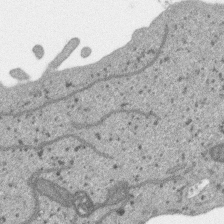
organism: Human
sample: Lung epithelial cells infected with SARS-CoV-2